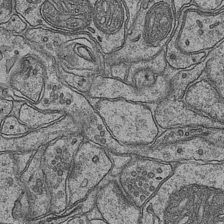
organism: Mouse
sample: CA1 Hippocampus